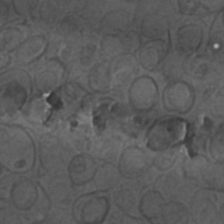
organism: C. elegans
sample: C. elegans embryo